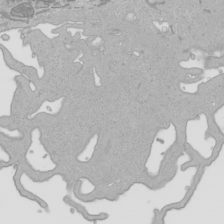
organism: Human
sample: Mitochondria in HCT116 cells